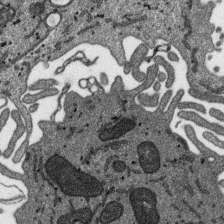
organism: Human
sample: Lung epithelial cells infected with SARS-CoV-2